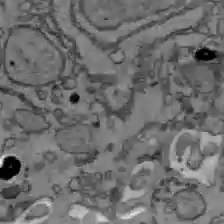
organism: C57BL Mouse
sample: Liver